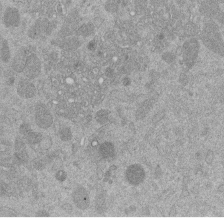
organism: Mouse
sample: Dividing mouse embryo 1 cell stage